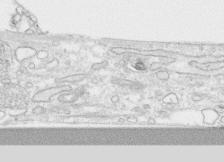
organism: Human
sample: CRL-1474